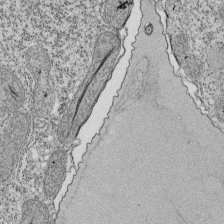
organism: Tetrahymena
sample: Cilia in tetrahymena